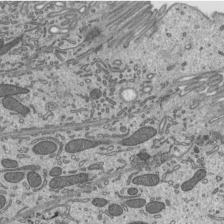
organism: Mouse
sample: Mouse epididymis efferent ductule cilia